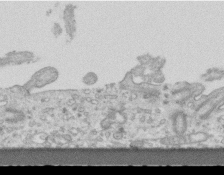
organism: Mouse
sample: Centriole in ependymal cells